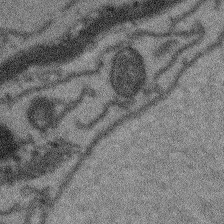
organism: Arabidopsis thaliana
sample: Root tip